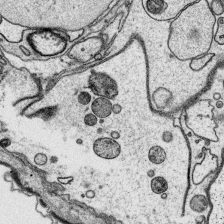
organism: Platynereis dumerilii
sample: Parapodia